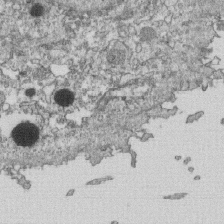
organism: Human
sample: HeLa cell HIV synapse